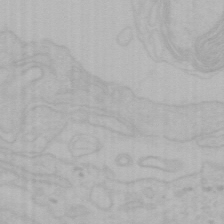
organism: Mouse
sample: Choroid plexus